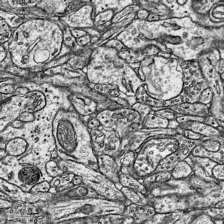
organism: Mouse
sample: Visual Cortex